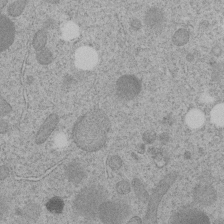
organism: C. elegans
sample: C. elegans embryo early stage